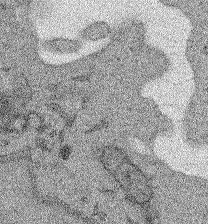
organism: Human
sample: HeLa cells